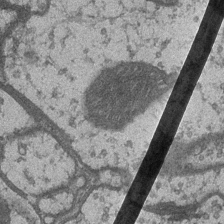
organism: Drosophila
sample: Optic medulla